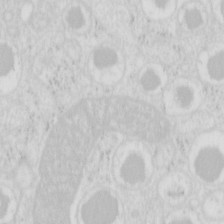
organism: Mouse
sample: Pancreas